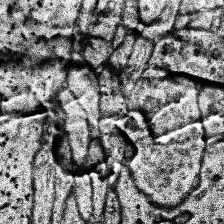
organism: Human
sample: Temporal Lobe